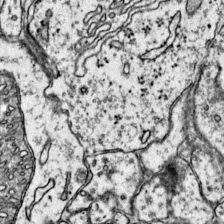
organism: Mouse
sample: Primary visual cortex